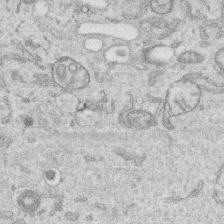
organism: Human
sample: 1205lu cells